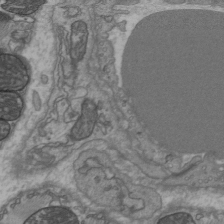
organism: C57BL Mouse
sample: Heart